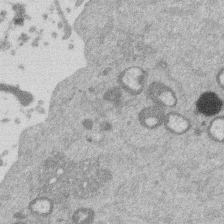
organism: Mouse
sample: Dividing mouse embryo 1 cell stage